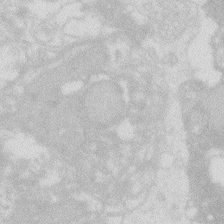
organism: Zebrafish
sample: Macrophage